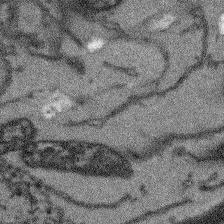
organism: Arabidopsis thaliana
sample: Root tip